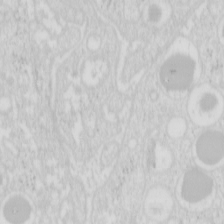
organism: Mouse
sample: Pancreas